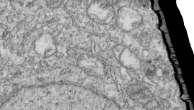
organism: Human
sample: HeLa cell HIV synapse